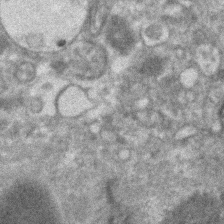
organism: Human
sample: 1205lu cells